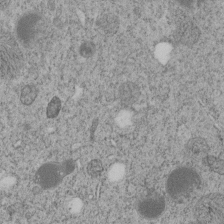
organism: C. elegans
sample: C. elegans embryo early stage